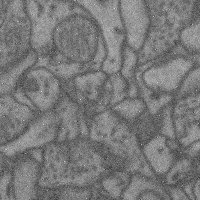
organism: Mouse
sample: Cerebral cortex